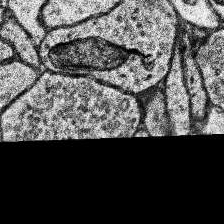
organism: Human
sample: Temporal Lobe